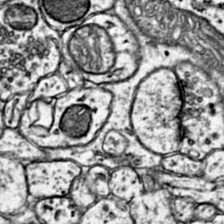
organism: Mouse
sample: Primary visual cortex